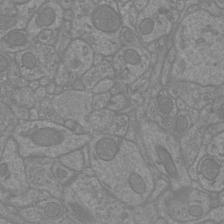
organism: Mouse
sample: Cortical neurons